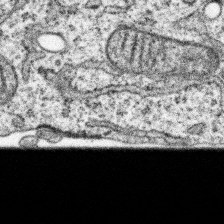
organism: Human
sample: HeLa cells